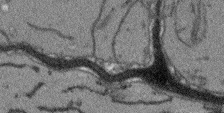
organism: Arabidopsis thaliana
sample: Root tip